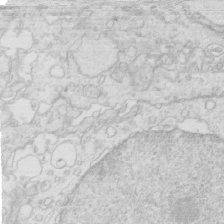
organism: Mouse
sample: Multiciliated cells